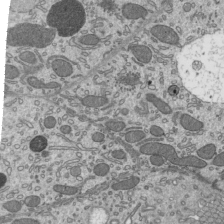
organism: Mouse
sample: Mouse epididymis efferent ductule cilia